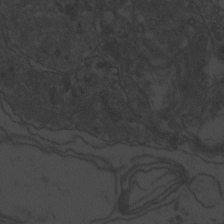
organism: Zebrafish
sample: Macrophage infected with Toxoplasma gondii